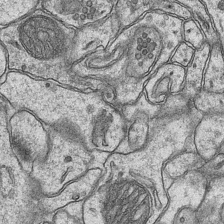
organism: Mouse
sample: CA1 Hippocampus